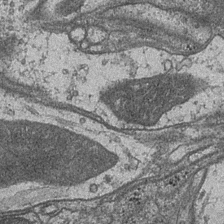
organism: Drosophila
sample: Optic medulla